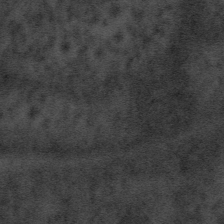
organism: Tuwongella immobilis